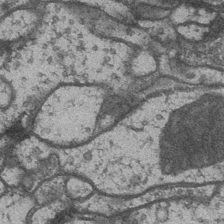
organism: Drosophila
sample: Optic medulla